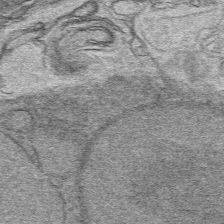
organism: Mouse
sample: Mouse hepatocytes